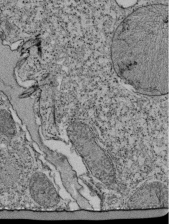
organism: Tetrahymena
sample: Cilia in tetrahymena